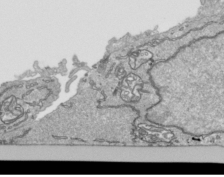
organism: Human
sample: Mitochondria in HCT116 cells